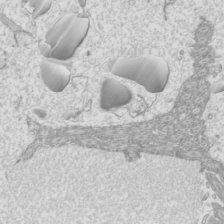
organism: Mouse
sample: Cilia; mouse epididymis